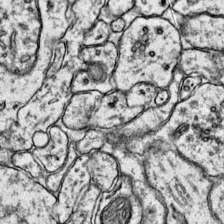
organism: Mouse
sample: Primary visual cortex